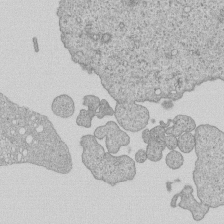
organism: Human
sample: MDA-MB-231 cells